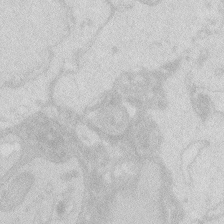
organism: Zebrafish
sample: Macrophage